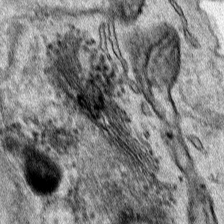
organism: Human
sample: Mitochondria in HCT116 cells